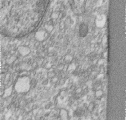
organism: Human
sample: Centriole in RPE cells